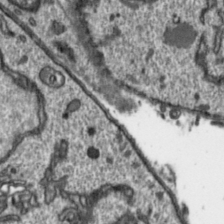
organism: Toxoplasma gondii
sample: Parasites in a vacuole inside a host cell